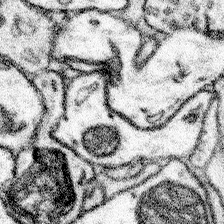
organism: Mouse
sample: Somatosensory cortex neuropil